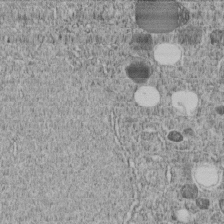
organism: C. elegans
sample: C. elegans embryo early stage